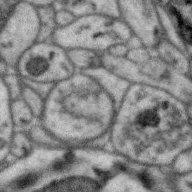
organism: Zebra finch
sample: Brain